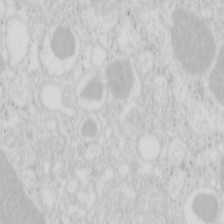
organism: Mouse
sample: Pancreas